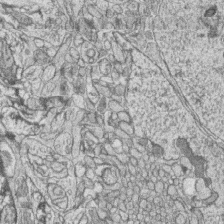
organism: Zebrafish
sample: synaptic ribbons in rod cells and cone cells